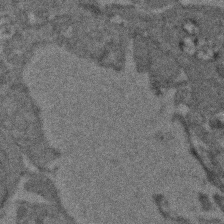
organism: Zebrafish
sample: Zebrafish embryo